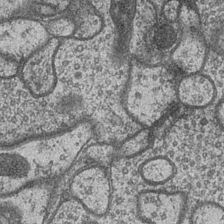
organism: Drosophila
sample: Optic medulla